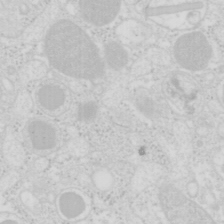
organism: Mouse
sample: Pancreas